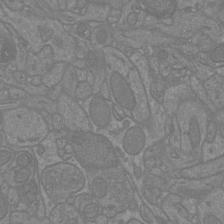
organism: Mouse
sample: Cortical neurons